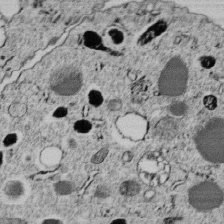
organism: C. elegans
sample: C. elegans embryo early stage